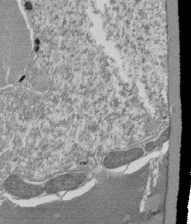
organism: Tetrahymena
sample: Cilia in tetrahymena